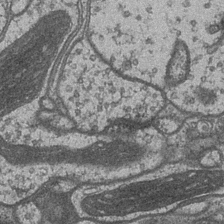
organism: Drosophila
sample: Optic medulla